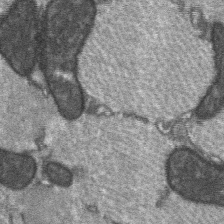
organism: C57BL Mouse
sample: Soleus